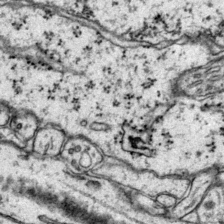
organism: Mouse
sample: Primary visual cortex